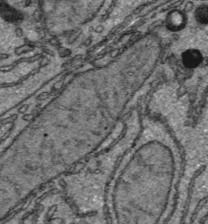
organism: C57BL Mouse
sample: Liver